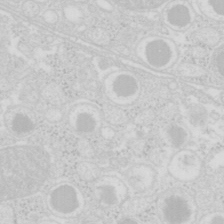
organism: Mouse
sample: Pancreas